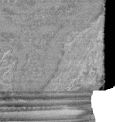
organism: Mouse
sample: Glomerulus